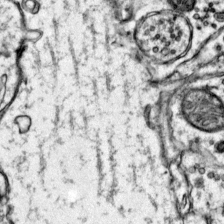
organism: Mouse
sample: Primary visual cortex